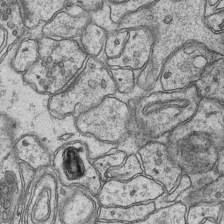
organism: Mouse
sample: CA1 Hippocampus